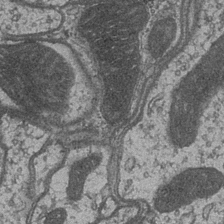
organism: Drosophila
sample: Optic medulla